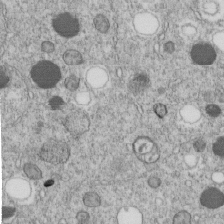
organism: C. elegans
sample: C. elegans embryo early stage